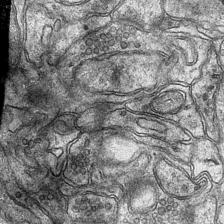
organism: Mouse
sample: CA1 Hippocampus